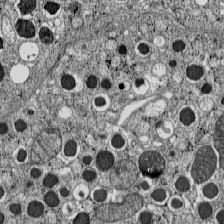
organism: C57BL Mouse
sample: Pancreatic islet